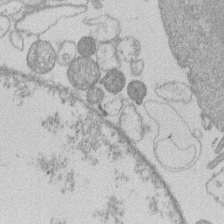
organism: Human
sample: Macrophage cells